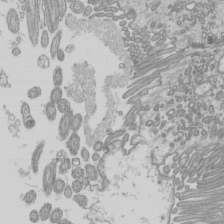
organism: Mouse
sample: Cilia; mouse epididymis